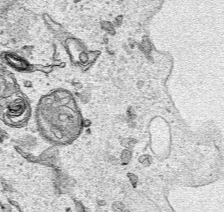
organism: Human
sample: Mitochondria in HCT116 cells